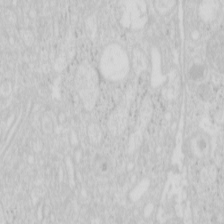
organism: Mouse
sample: Pancreas